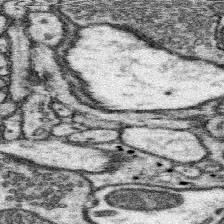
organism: Mouse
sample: Somatosensory cortex neuropil